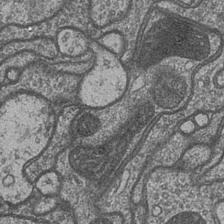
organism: Drosophila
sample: Optic medulla